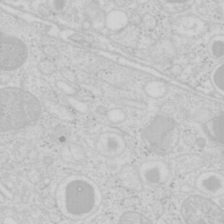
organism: Mouse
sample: Pancreas